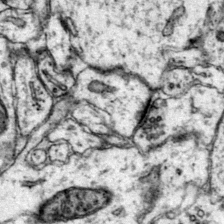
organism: Mouse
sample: Primary visual cortex